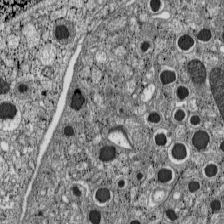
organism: C57BL Mouse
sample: Pancreatic islet